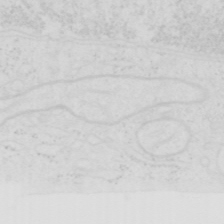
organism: Human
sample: SUM-159 cell